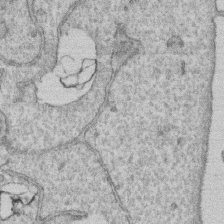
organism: Human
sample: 1205lu cells